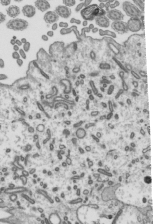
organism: Mouse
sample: Mouse epididymis efferent ductule cilia